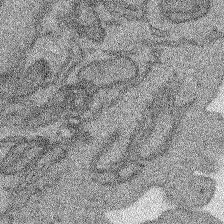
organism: Human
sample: HeLa cells